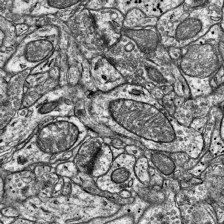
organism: Mouse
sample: Visual Cortex